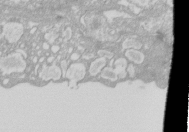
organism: Xenopus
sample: Cilia; centrioles in frog embryo cells